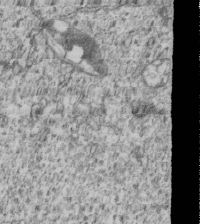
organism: Human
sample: MDA-MB-231 cells